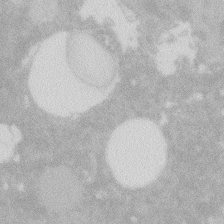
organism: Zebrafish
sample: Macrophage